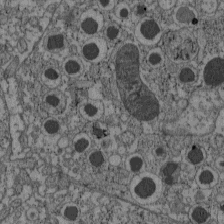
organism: C57BL Mouse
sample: Pancreatic islet